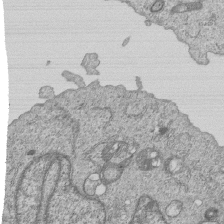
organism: Human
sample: MDA-MB-231 cells